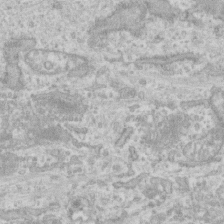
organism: Human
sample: CRL-1474